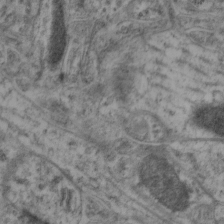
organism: Mouse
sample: Neocortex